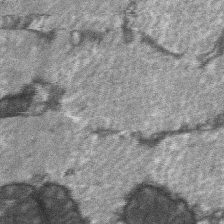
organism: C57BL Mouse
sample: Soleus